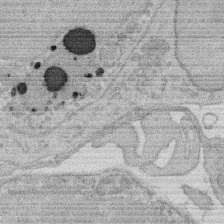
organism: Rat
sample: Salivary granule